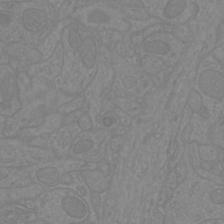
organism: Mouse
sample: Cortical neurons